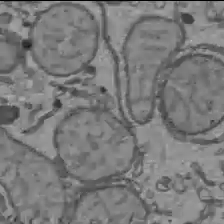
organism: C57BL Mouse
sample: Liver